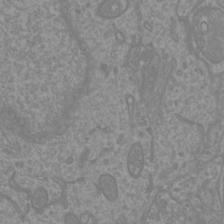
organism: Mouse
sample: Cortical neurons